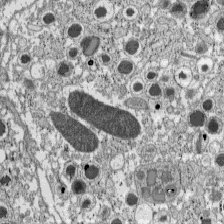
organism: C57BL Mouse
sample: Pancreatic islet